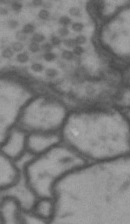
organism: Drosophila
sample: Brain